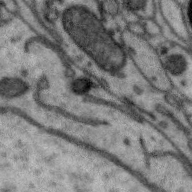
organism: Zebra finch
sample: Brain